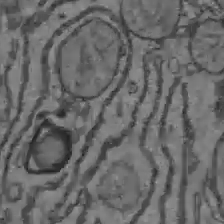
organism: C57BL Mouse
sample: Liver